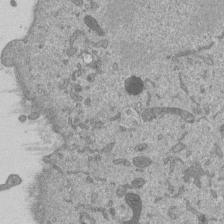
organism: Mouse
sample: ED-1 cell nuclei; centrioles